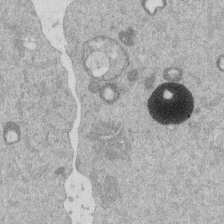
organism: Mouse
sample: Dividing mouse embryo 1 cell stage